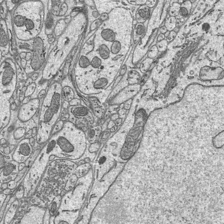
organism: Mouse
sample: Suprachiasmatic nucleus